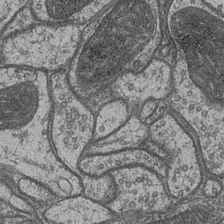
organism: Drosophila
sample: Optic medulla